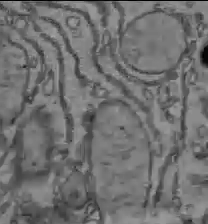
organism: C57BL Mouse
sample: Liver